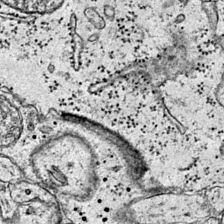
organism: Mouse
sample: Primary visual cortex